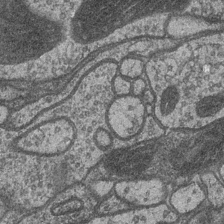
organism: Drosophila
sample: Optic medulla